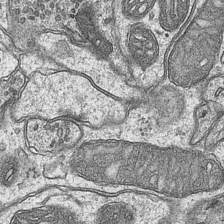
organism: Mouse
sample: CA1 Hippocampus